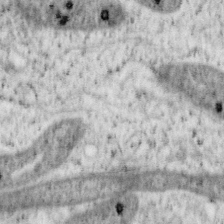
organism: Mouse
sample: OT-I killer T cells with ID8 ovarian cancer cells